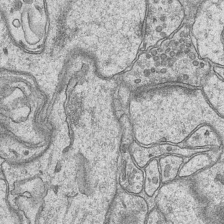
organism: Mouse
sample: CA1 Hippocampus